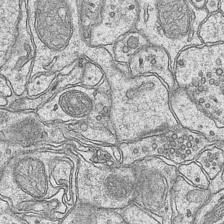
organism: Mouse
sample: CA1 Hippocampus